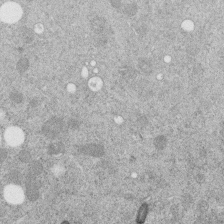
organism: C. elegans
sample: C. elegans embryo early stage